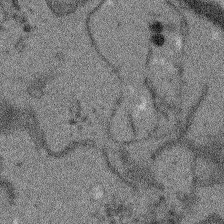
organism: Arabidopsis thaliana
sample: Root tip